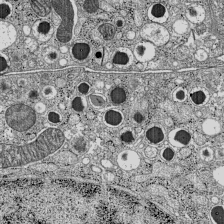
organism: C57BL Mouse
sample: Pancreatic islet